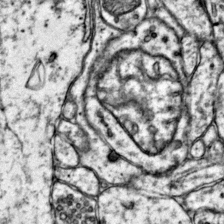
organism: Mouse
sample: Primary visual cortex